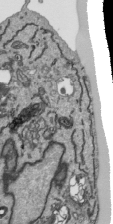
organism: Human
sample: Mitochondria in HCT116 cells